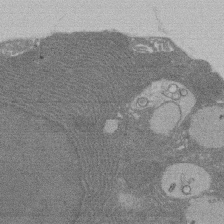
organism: Rat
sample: Salivary granule